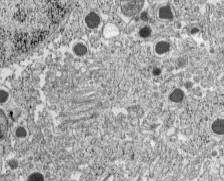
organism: C57BL Mouse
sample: Pancreatic islet